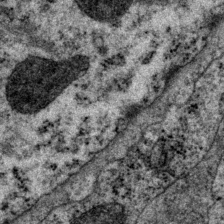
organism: P. pacificus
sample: Pharynx